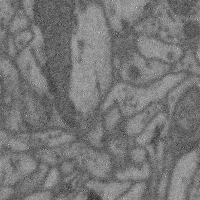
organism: Mouse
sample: Cerebral cortex